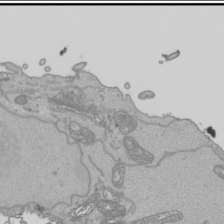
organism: Human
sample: Mitochondria in HCT116 cells